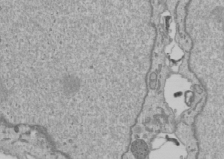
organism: Human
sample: Mitochondria in U2OS cells